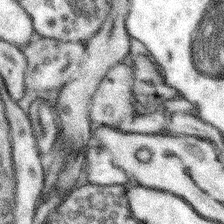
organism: Mouse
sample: Somatosensory cortex neuropil